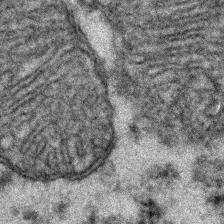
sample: Kidney